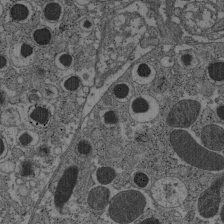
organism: C57BL Mouse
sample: Pancreatic islet